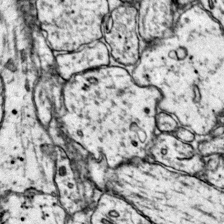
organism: Mouse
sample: Primary visual cortex